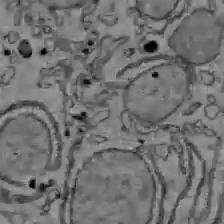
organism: C57BL Mouse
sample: Liver